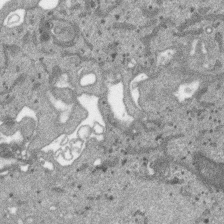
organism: Human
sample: Lung epithelial cells infected with SARS-CoV-2